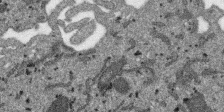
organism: Human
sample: Lung epithelial cells infected with SARS-CoV-2